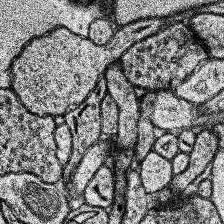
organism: Human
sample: Temporal Lobe